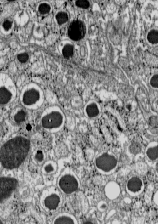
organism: C57BL Mouse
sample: Pancreatic islet